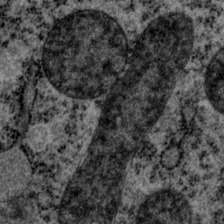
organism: P. pacificus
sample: Pharynx